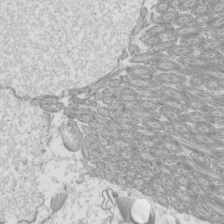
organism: Mouse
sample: Cilia; mouse epididymis